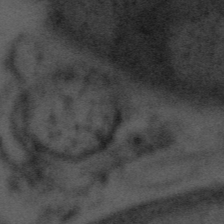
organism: Tuwongella immobilis